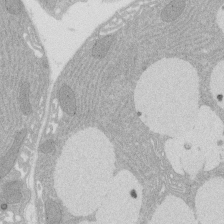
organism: Rat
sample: Salivary granule